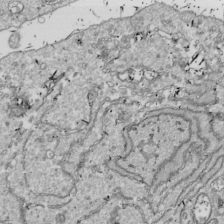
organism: Drosophila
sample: Cell division; meiosis; drosophila spermatocytes